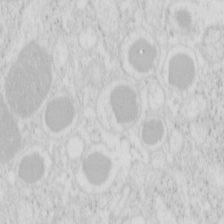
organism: Mouse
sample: Pancreas